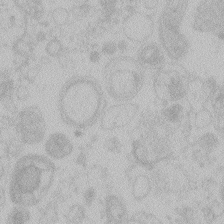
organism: Zebrafish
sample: Macrophage infected with Toxoplasma gondii